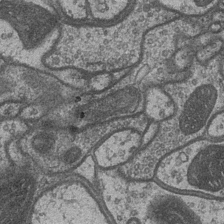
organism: Drosophila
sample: Optic medulla